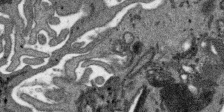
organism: Human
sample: Lung epithelial cells, uninfected (mock) control